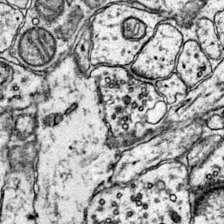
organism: Mouse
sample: Primary visual cortex